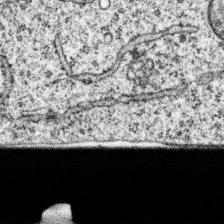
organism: Human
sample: HeLa cells